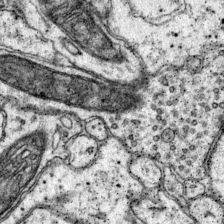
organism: Mouse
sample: Primary visual cortex